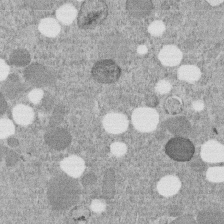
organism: C. elegans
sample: C. elegans embryo early stage